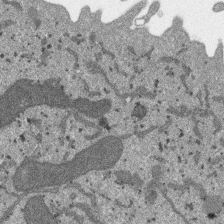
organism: Human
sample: Lung epithelial cells infected with SARS-CoV-2